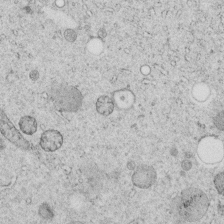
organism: C. elegans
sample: C. elegans embryo early stage